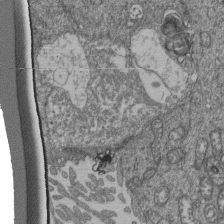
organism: Human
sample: Retinal organoid Rod and Cone cells